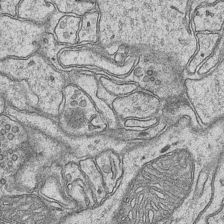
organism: Mouse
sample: CA1 Hippocampus